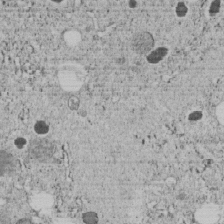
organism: C. elegans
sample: C. elegans embryo early stage